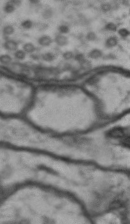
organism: Drosophila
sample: Brain